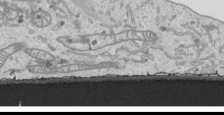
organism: Human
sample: Mitochondria in HCT116 cells